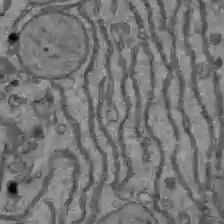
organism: C57BL Mouse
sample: Liver